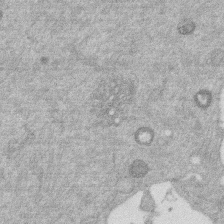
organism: Mouse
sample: Dividing mouse embryo 1 cell stage